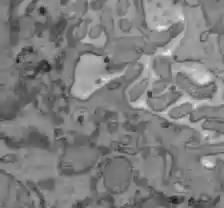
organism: C57BL Mouse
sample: Liver